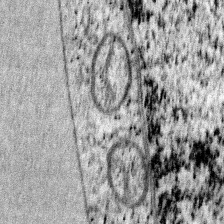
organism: Human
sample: HeLa cells